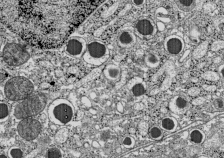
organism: C57BL Mouse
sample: Pancreatic islet